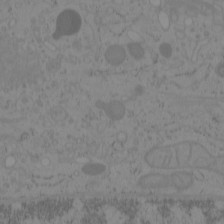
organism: Human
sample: HeLa cells